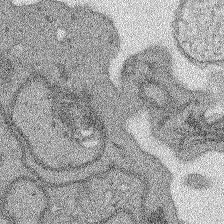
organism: Human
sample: HeLa cells